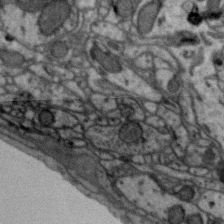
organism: Zebra finch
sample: Brain